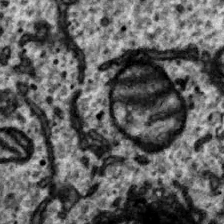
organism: Human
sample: HeLa cells